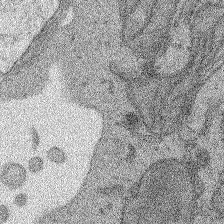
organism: Human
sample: HeLa cells